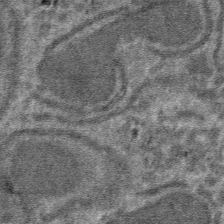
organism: Mouse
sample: Mouse hepatocytes